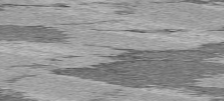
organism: C57BL Mouse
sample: Heart